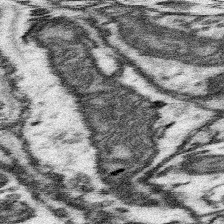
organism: Mouse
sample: Somatosensory cortex neuropil